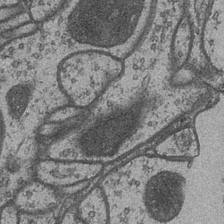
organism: Drosophila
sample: Optic medulla